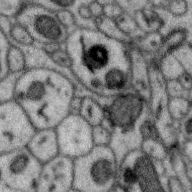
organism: Zebra finch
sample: Brain